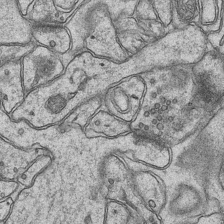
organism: Mouse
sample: CA1 Hippocampus